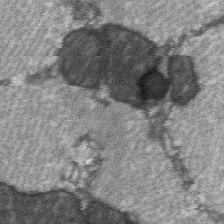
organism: C57BL Mouse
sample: Soleus